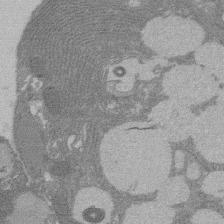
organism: Rat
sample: Salivary granule